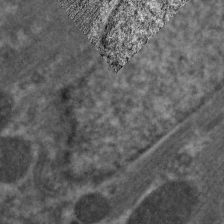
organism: C. elegans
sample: Pharynx